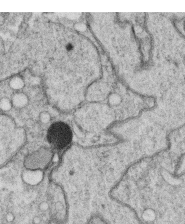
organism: C. elegans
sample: C. elegans oocyte; sperm cells